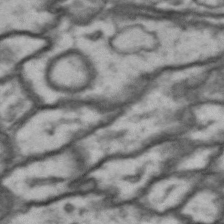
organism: Drosophila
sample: Brain